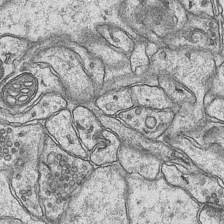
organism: Mouse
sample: CA1 Hippocampus